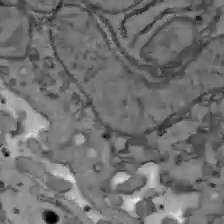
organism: C57BL Mouse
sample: Liver